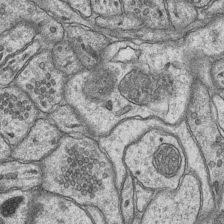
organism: Mouse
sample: CA1 Hippocampus